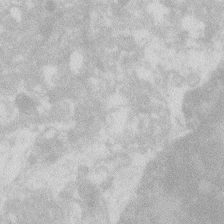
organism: Zebrafish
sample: Macrophage